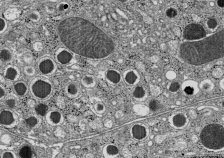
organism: C57BL Mouse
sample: Pancreatic islet